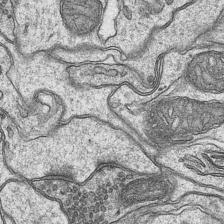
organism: Mouse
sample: CA1 Hippocampus